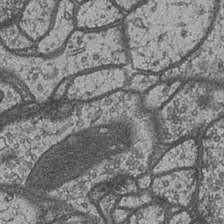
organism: Drosophila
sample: Optic medulla